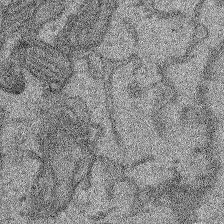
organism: Human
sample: HeLa cells